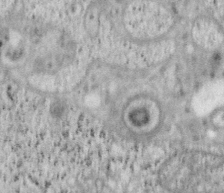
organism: Mouse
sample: OT-I killer T cells with ID8 ovarian cancer cells